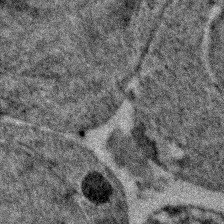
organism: Zebrafish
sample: Zebrafish embryo